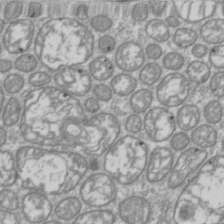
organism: Drosophila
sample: Cell division; meiosis; drosophila spermatocytes